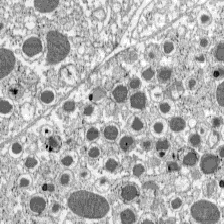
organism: C57BL Mouse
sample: Pancreatic islet